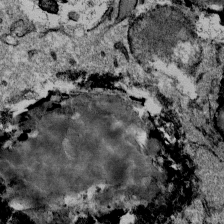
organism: Mouse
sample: Mouse Salivary gland